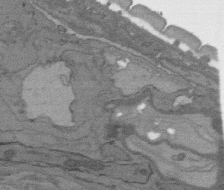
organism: C. elegans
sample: AFD neurons C. elegans